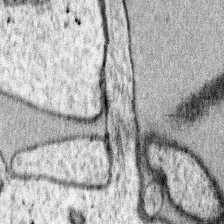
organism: Human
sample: HeLa cells